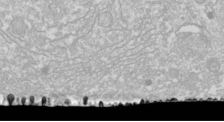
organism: Drosophila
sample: Cell division; meiosis; drosophila spermatocytes